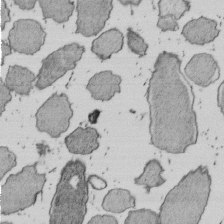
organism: E. coli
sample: Bacterial nucleoid